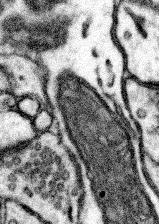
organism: Mouse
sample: Somatosensory cortex neuropil